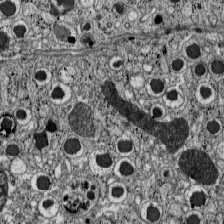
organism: C57BL Mouse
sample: Pancreatic islet